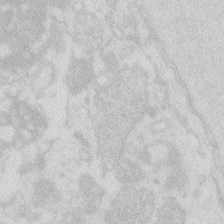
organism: Zebrafish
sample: Macrophage